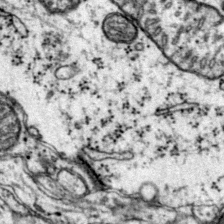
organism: Mouse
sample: Primary visual cortex